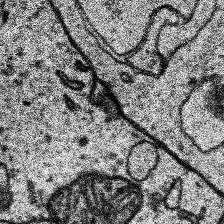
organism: Human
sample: Temporal Lobe